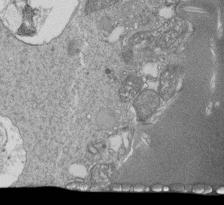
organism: Tetrahymena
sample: Cilia in tetrahymena